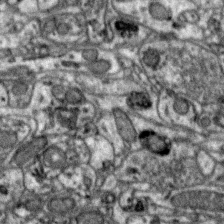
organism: Zebra finch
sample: Brain